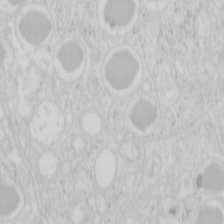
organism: Mouse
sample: Pancreas